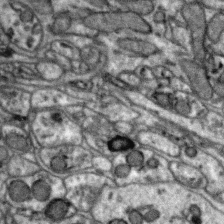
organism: Zebra finch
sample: Brain